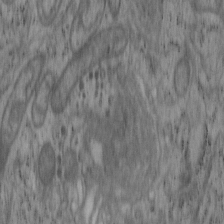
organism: Human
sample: HeLa cells